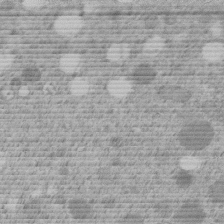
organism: C. elegans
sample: C. elegans embryo early stage